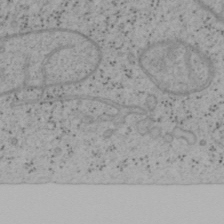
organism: Human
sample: HeLa cells